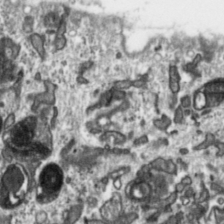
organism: Toxoplasma gondii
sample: Parasites in a vacuole inside a host cell